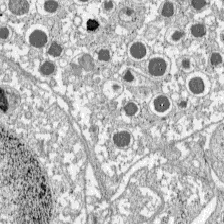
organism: C57BL Mouse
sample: Pancreatic islet